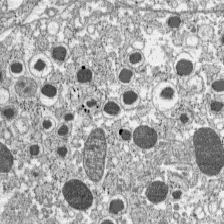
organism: C57BL Mouse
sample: Pancreatic islet